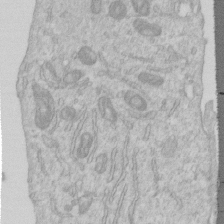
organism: Human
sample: Centriole in RPE cells